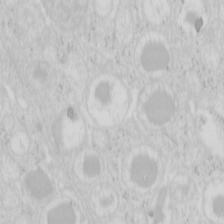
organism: Mouse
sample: Pancreas